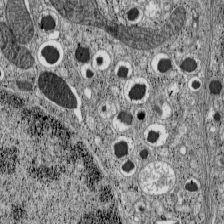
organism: C57BL Mouse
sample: Pancreatic islet